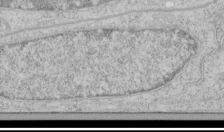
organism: Human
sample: Mitochondria in HCT116 cells